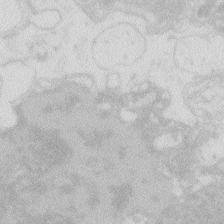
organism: Zebrafish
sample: Macrophage